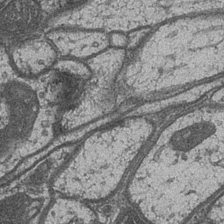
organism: Drosophila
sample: Optic medulla